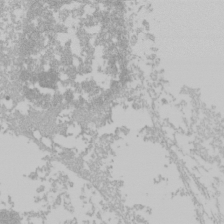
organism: Mouse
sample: Cancer cell death in ED-1 cells